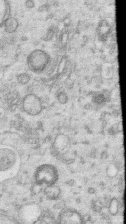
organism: Human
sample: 1205lu cells